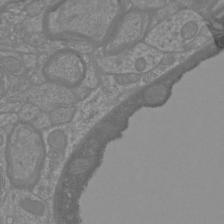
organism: Mouse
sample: Cortical neurons